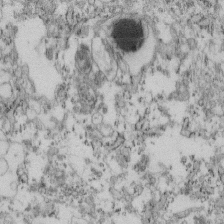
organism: Mouse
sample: Cilia; retinal pigment epithelium